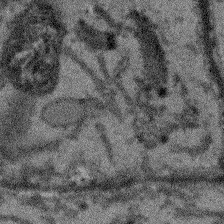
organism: Arabidopsis thaliana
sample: Root tip